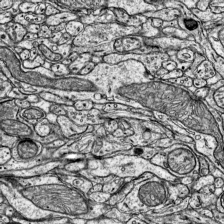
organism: Mouse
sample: Visual Cortex